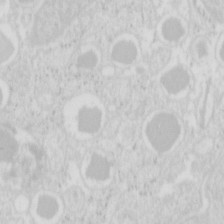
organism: Mouse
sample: Pancreas